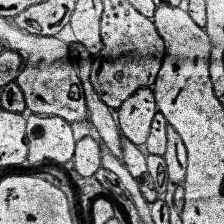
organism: Human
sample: Temporal Lobe